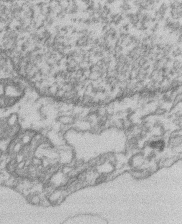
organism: Mouse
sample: T cell stromal cell synapse